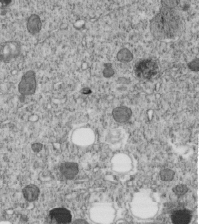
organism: C. elegans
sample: C. elegans embryo early stage